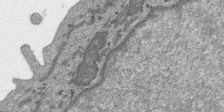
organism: Human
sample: Lung epithelial cells infected with SARS-CoV-2